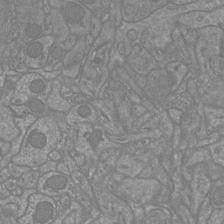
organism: Mouse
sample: Cortical neurons